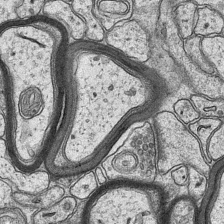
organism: Mouse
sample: CA1 Hippocampus